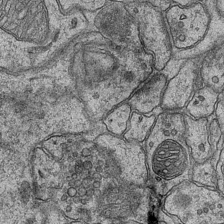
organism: Mouse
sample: CA1 Hippocampus